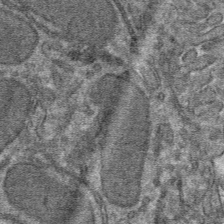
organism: Mouse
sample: Mouse hepatocytes